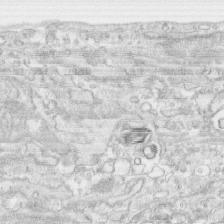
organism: Human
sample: CRL-1474